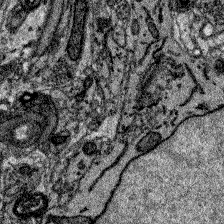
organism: Zebrafish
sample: Larval olfactory bulb